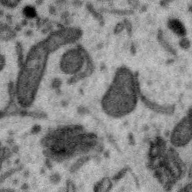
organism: Zebra finch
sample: Brain